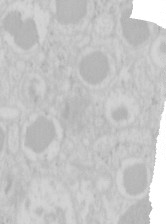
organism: Mouse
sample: Pancreas